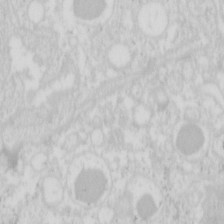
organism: Mouse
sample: Pancreas